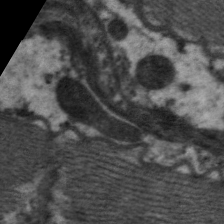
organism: C. elegans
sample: Pharynx